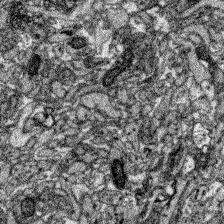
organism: Zebrafish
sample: Larval olfactory bulb